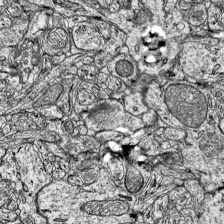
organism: Mouse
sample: Visual Cortex